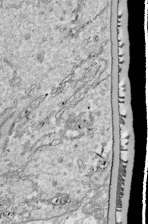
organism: Drosophila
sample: Cell division; meiosis; drosophila spermatocytes